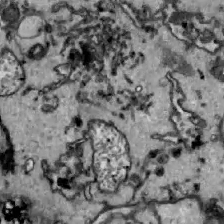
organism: Zebrafish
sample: Actinotrichia fibers